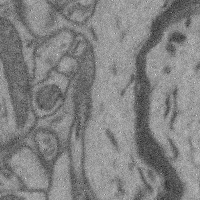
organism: Mouse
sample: Cerebral cortex